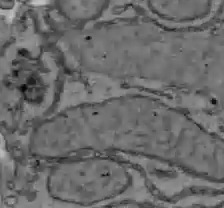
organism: C57BL Mouse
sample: Liver